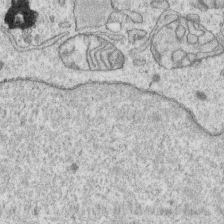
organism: Human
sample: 1205lu cells